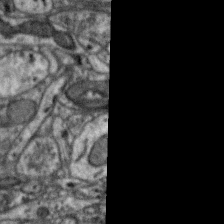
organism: Zebra finch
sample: Brain